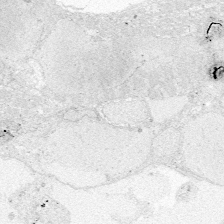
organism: Zebrafish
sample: Whole-Brain